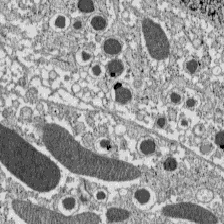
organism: C57BL Mouse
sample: Pancreatic islet